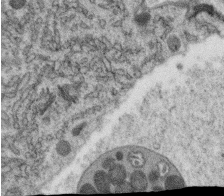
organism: C. elegans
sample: C. elegans oocyte; sperm cells